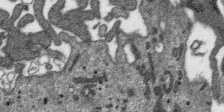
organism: Human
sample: Lung epithelial cells infected with SARS-CoV-2